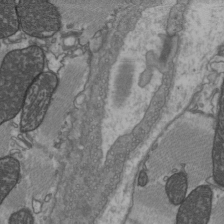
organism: C57BL Mouse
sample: Heart